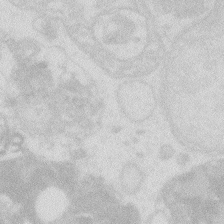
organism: Zebrafish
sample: Macrophage